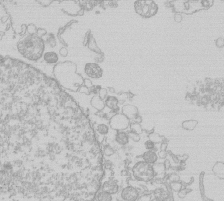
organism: Human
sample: Macrophage cells